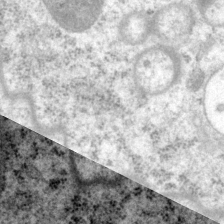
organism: P. pacificus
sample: Pharynx